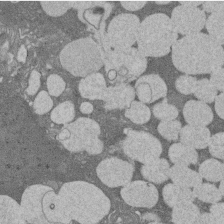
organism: Rat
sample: Salivary granule